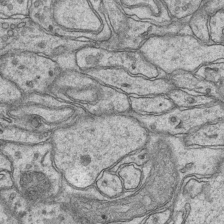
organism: Mouse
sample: CA1 Hippocampus